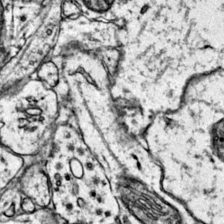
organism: Mouse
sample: Primary visual cortex